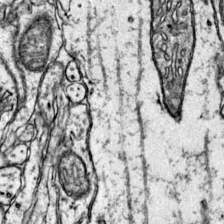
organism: Mouse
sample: Primary visual cortex